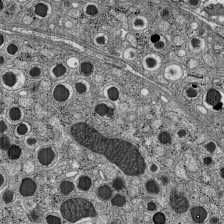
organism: C57BL Mouse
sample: Pancreatic islet